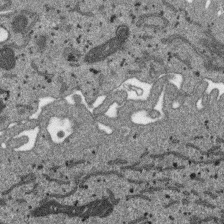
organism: Human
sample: Lung epithelial cells infected with SARS-CoV-2